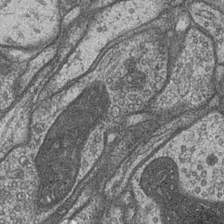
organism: Drosophila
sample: Optic medulla